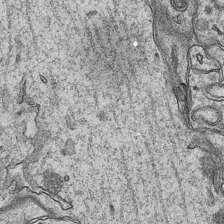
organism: Mouse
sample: CA1 Hippocampus